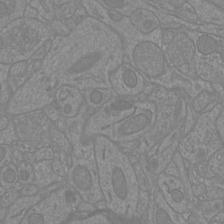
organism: Mouse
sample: Cortical neurons